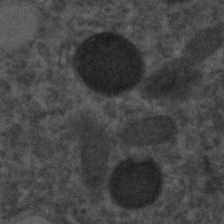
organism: C. elegans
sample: C. elegans embryo